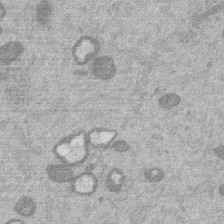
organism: Mouse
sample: Dividing mouse embryo 1 cell stage